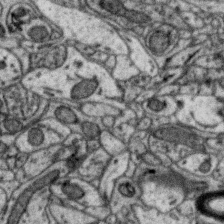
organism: Zebra finch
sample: Brain